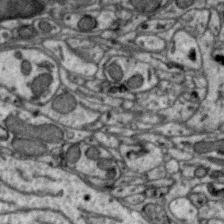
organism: Zebra finch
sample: Brain